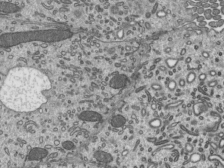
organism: Mouse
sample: Mouse epididymis efferent ductule cilia